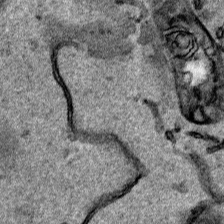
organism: Human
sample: Mitochondria in HCT116 cells